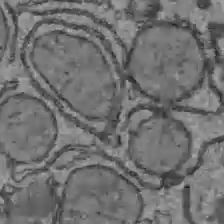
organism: C57BL Mouse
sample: Liver